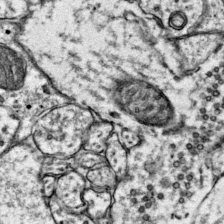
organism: Mouse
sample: Primary visual cortex